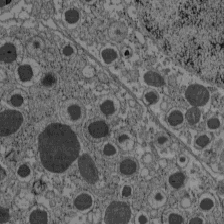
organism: C57BL Mouse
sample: Pancreatic islet